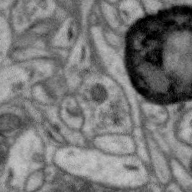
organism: Zebra finch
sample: Brain